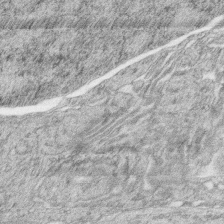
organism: Zebrafish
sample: synaptic ribbons in rod cells and cone cells